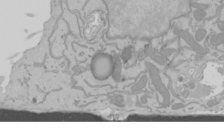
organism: Mouse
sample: Cancer cell death in ED-1 cells